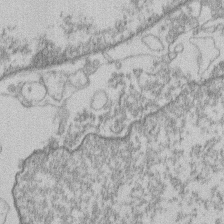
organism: Human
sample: Macrophage cells